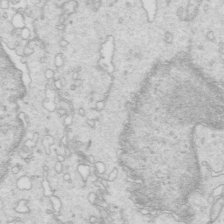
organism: Mouse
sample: Multiciliated cells